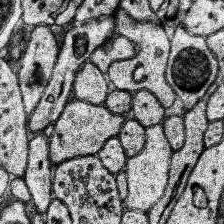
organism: Human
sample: Temporal Lobe